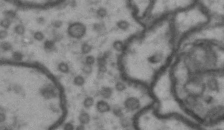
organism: Drosophila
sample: Brain